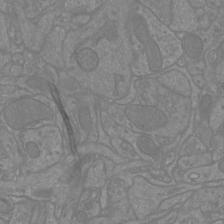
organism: Mouse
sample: Cortical neurons